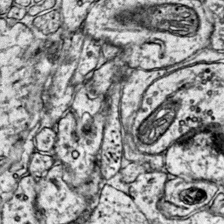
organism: Mouse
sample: Primary visual cortex